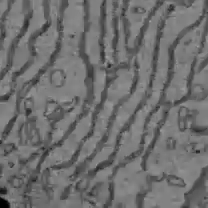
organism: C57BL Mouse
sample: Liver